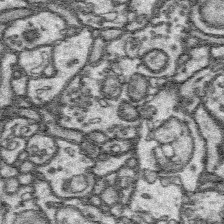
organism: Platynereis dumerilii